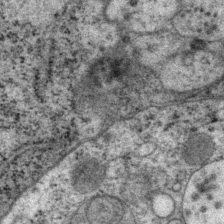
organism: P. pacificus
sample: Pharynx